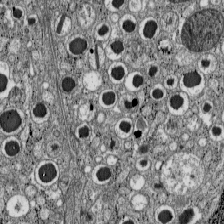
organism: C57BL Mouse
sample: Pancreatic islet